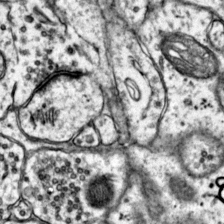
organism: Mouse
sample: Primary visual cortex